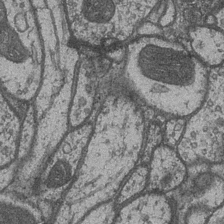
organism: Drosophila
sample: Optic medulla